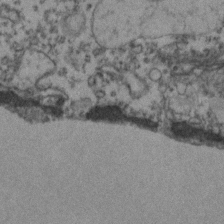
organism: Zebrafish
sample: Zebrafish embryo